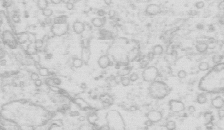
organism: Mouse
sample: Multiciliated cells